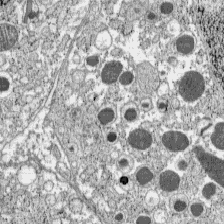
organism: C57BL Mouse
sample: Pancreatic islet